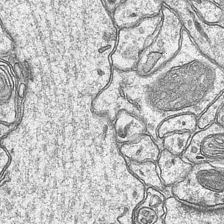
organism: Mouse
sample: CA1 Hippocampus